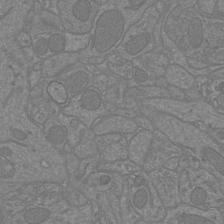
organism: Mouse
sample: Cortical neurons